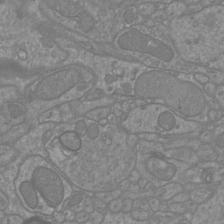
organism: Mouse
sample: Cortical neurons